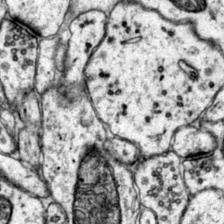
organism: Mouse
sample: Primary visual cortex